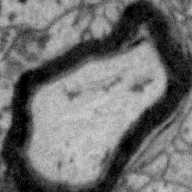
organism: Zebra finch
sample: Brain